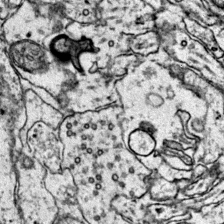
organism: Mouse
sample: Primary visual cortex